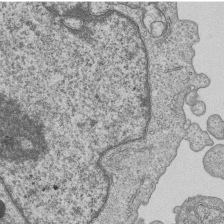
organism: Human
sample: MDA-MB-231 cells